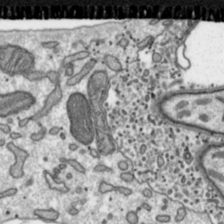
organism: Toxoplasma gondii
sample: Parasites in a vacuole inside a host cell